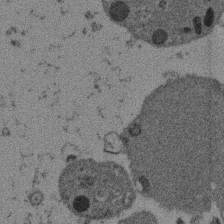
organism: Mouse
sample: Dividing mouse embryo 1 cell stage